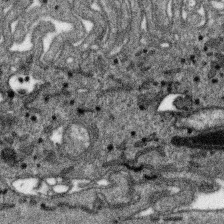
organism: Human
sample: Lung epithelial cells infected with SARS-CoV-2